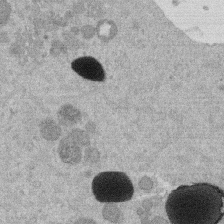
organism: Mouse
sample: Dividing mouse embryo 1 cell stage